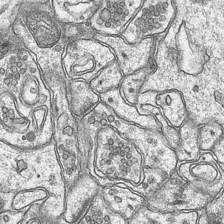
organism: Mouse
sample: CA1 Hippocampus